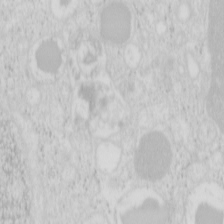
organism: Mouse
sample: Pancreas